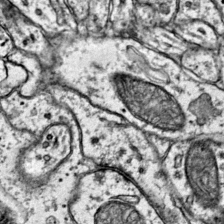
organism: Mouse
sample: Primary visual cortex